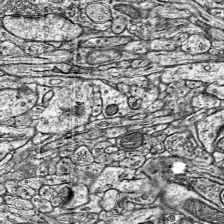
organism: Mouse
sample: Visual Cortex